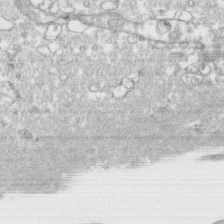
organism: Human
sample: CRL-1474